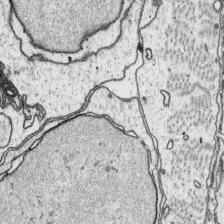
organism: Platynereis dumerilii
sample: Parapodia